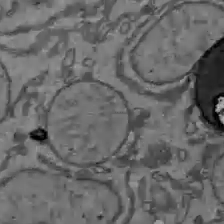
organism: C57BL Mouse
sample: Liver